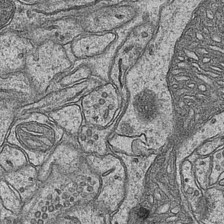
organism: Mouse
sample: CA1 Hippocampus